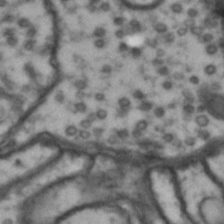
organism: Drosophila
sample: Brain